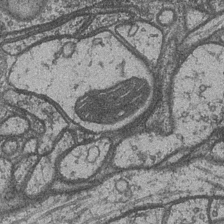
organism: Drosophila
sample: Optic medulla